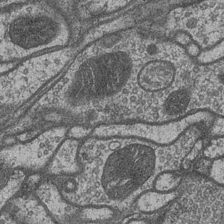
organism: Drosophila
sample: Optic medulla